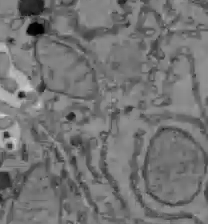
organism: C57BL Mouse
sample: Liver